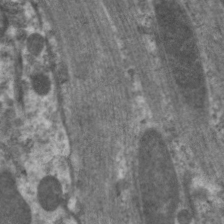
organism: C. elegans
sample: Pharynx